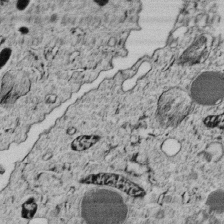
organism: C. elegans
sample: C. elegans embryo early stage